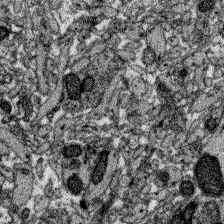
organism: Zebrafish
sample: Larval olfactory bulb